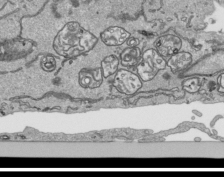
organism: Human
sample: Mitochondria in HCT116 cells